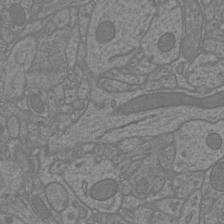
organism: Mouse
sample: Cortical neurons